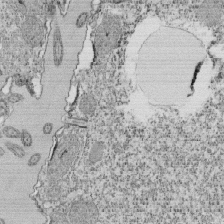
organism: Tetrahymena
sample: Cilia in tetrahymena